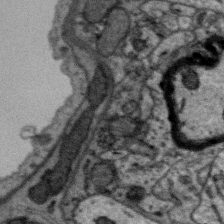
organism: Zebra finch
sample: Brain